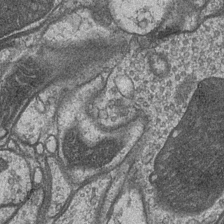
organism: Drosophila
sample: Optic medulla